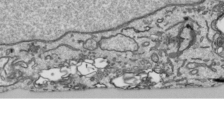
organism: Human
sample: Mitochondria in HCT116 cells